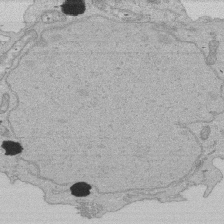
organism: Human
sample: Activated Jurkat CD4+ T cells